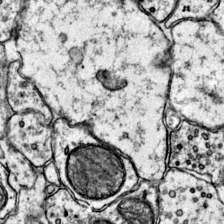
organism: Mouse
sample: Primary visual cortex